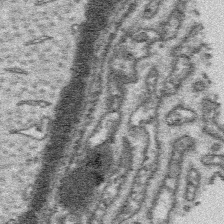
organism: Platynereis dumerilii